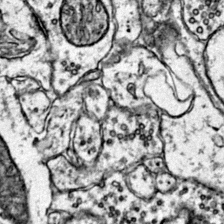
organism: Mouse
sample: Primary visual cortex